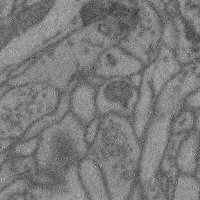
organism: Mouse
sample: Cerebral cortex